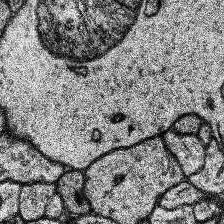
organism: Human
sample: Temporal Lobe